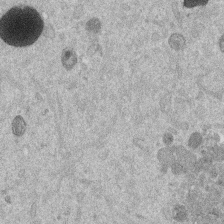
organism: Mouse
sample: Dividing mouse embryo 1 cell stage